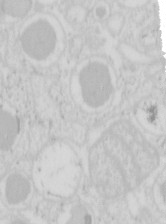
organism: Mouse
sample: Pancreas